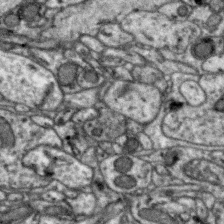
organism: Zebra finch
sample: Brain